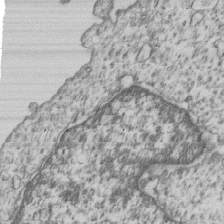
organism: Human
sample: MDA-MB-231 cells